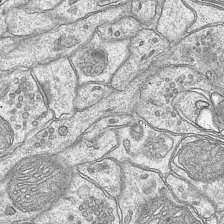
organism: Mouse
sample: CA1 Hippocampus